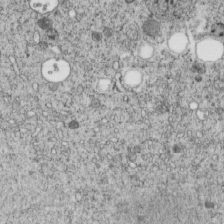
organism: C. elegans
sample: C. elegans embryo early stage